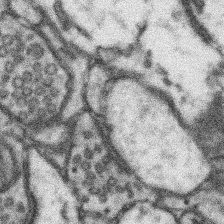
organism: Mouse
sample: Somatosensory cortex neuropil